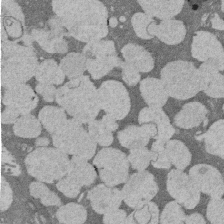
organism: Rat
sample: Salivary granule